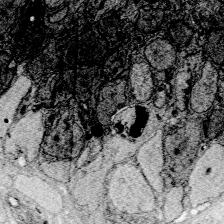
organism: Zebrafish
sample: Whole-Brain